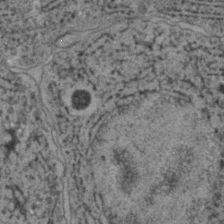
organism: C. elegans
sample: C. elegans embryo